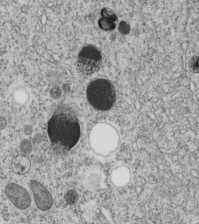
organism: C. elegans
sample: C. elegans embryo early stage